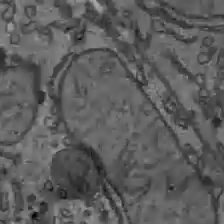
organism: C57BL Mouse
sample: Liver